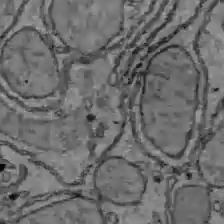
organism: C57BL Mouse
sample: Liver